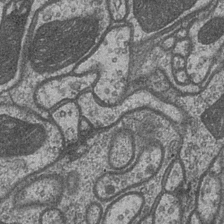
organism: Drosophila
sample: Optic medulla